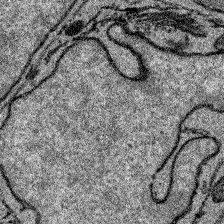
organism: Zebrafish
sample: Larval olfactory bulb